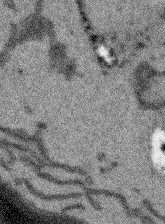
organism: Arabidopsis thaliana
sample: Root tip